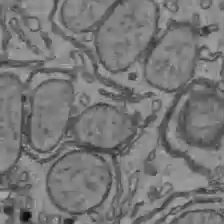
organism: C57BL Mouse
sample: Liver